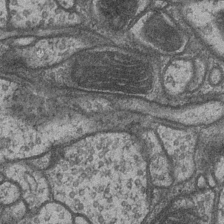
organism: Drosophila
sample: Optic medulla